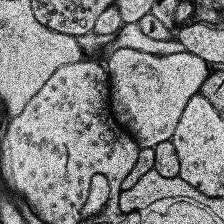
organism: Human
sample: Temporal Lobe